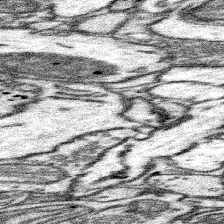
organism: Mouse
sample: Somatosensory cortex neuropil